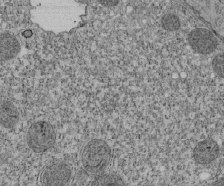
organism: Tetrahymena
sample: Cilia in tetrahymena